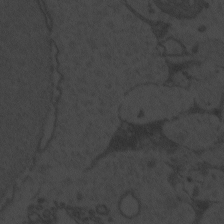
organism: Zebrafish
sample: Macrophage infected with Toxoplasma gondii